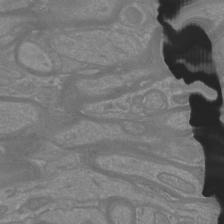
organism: Mouse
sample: Cortical neurons